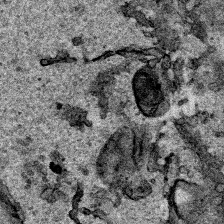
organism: Human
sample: Mitochondria in HCT116 cells